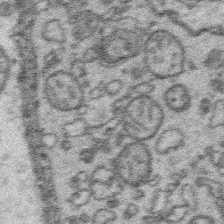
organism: Platynereis dumerilii